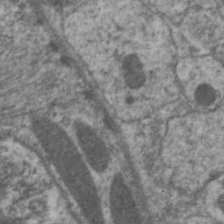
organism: C. elegans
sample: Pharynx